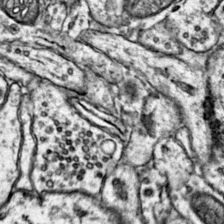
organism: Mouse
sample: Primary visual cortex